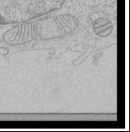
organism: Human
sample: Mitochondria in HCT116 cells